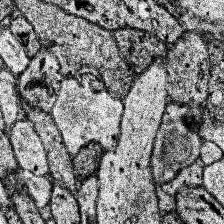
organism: Human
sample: Temporal Lobe